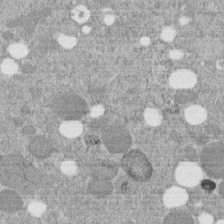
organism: C. elegans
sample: C. elegans embryo early stage